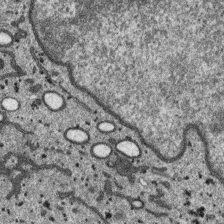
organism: Human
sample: Lung epithelial cells infected with SARS-CoV-2